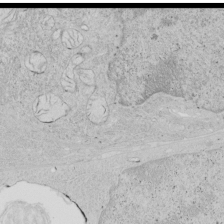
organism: Human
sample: Mitochondria in HCT116 cells